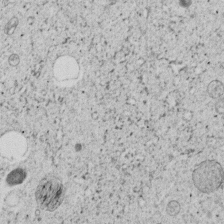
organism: C. elegans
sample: C. elegans embryo early stage